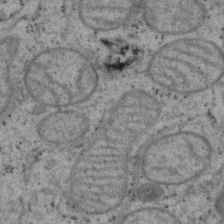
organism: Human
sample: HeLa cells